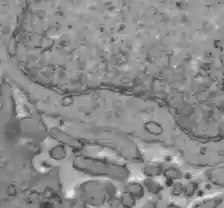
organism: C57BL Mouse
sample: Liver